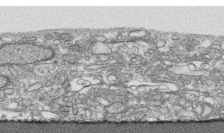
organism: Human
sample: CRL-1474